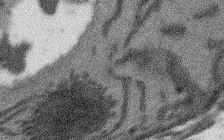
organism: Arabidopsis thaliana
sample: Root tip